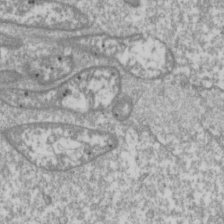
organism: Drosophila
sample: Cell division; meiosis; drosophila spermatocytes